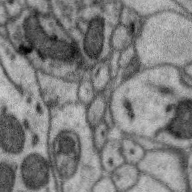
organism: Zebra finch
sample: Brain